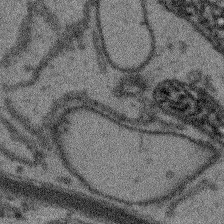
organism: Arabidopsis thaliana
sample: Root tip